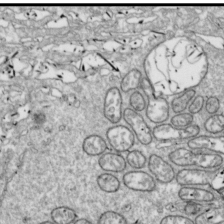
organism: Drosophila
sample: Cell division; meiosis; drosophila spermatocytes